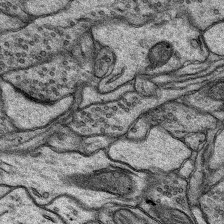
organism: Rat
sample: Hippocampus